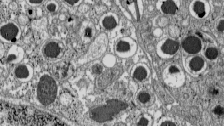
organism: C57BL Mouse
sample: Pancreatic islet